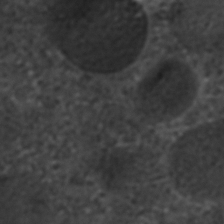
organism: C. elegans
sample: C. elegans embryo